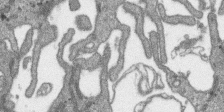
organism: Human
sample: Lung epithelial cells infected with SARS-CoV-2